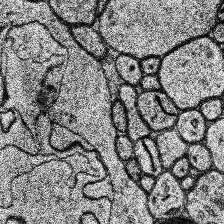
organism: Human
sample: Temporal Lobe